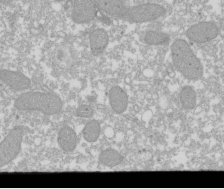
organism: Xenopus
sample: Cilia; centrioles in frog embryo cells